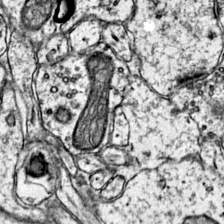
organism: Mouse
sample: Primary visual cortex